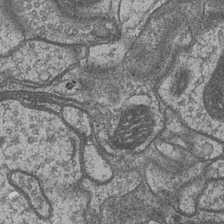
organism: Drosophila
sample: Optic medulla